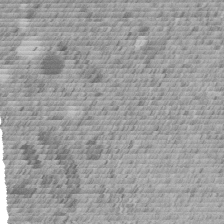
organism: C. elegans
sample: C. elegans embryo early stage